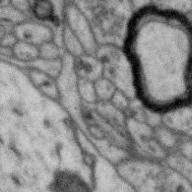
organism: Zebra finch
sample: Brain